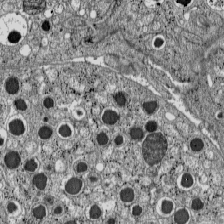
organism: C57BL Mouse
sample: Pancreatic islet